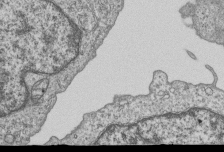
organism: Human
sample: MDA-MB-231 cells